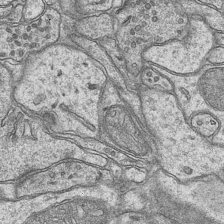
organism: Mouse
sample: CA1 Hippocampus